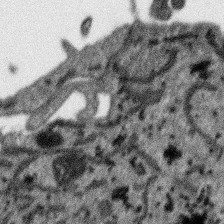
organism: Human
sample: Lung epithelial cells infected with SARS-CoV-2